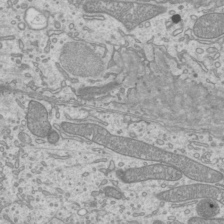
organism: Mouse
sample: Cilia; mouse epididymis